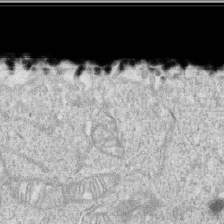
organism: Human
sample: HeLa cell HIV synapse